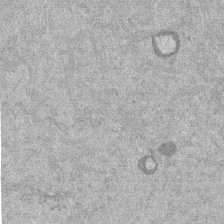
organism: Mouse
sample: Dividing mouse embryo 1 cell stage